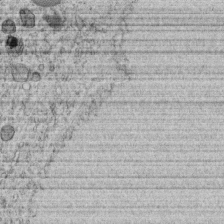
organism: C. elegans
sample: C. elegans embryo early stage